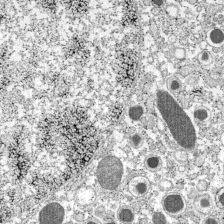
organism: C57BL Mouse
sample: Pancreatic islet